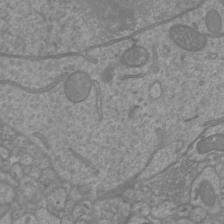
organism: Mouse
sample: Cortical neurons